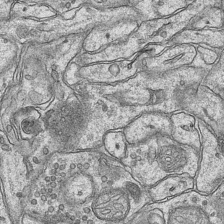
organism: Mouse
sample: CA1 Hippocampus